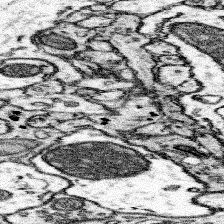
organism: Mouse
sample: Somatosensory cortex neuropil